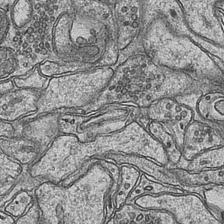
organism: Mouse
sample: CA1 Hippocampus